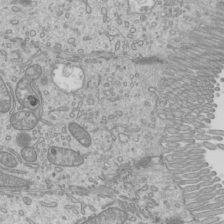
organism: Mouse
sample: Cilia; mouse epididymis